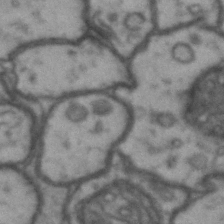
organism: Drosophila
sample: Brain